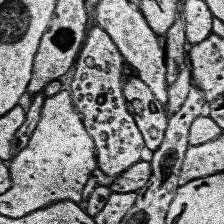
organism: Human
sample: Temporal Lobe